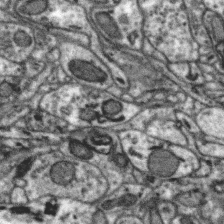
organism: Zebra finch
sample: Brain